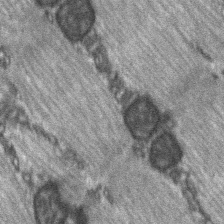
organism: C57BL Mouse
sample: Soleus